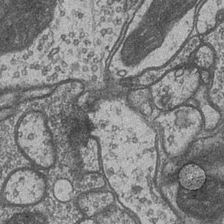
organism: Drosophila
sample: Optic medulla